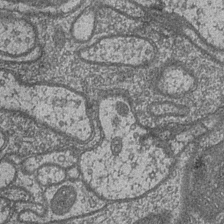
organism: Drosophila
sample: Optic medulla